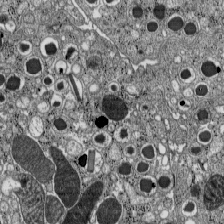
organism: C57BL Mouse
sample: Pancreatic islet